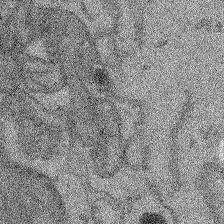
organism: Human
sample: HeLa cells